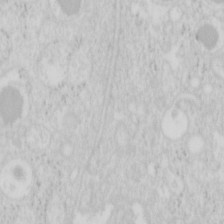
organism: Mouse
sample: Pancreas